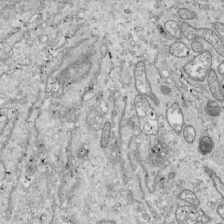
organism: Drosophila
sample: Cell division; meiosis; drosophila spermatocytes